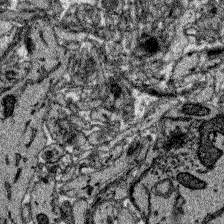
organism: Zebrafish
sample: Larval olfactory bulb